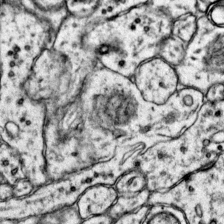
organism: Mouse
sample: Primary visual cortex